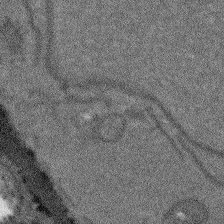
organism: Arabidopsis thaliana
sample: Root tip